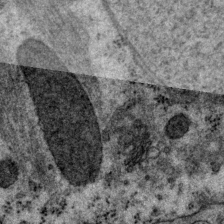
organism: P. pacificus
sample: Pharynx